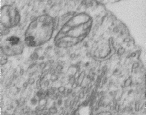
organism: Human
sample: Centriole in RPE cells